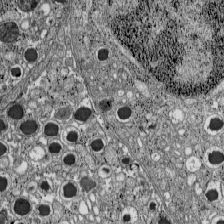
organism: C57BL Mouse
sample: Pancreatic islet